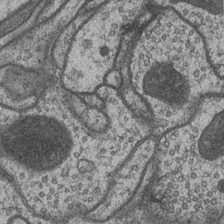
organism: Drosophila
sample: Optic medulla